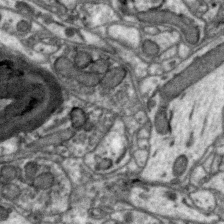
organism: Zebra finch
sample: Brain